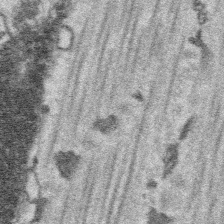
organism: Platynereis dumerilii